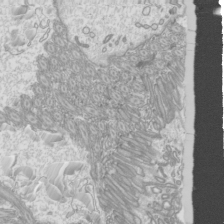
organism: Mouse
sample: Cilia; mouse epididymis